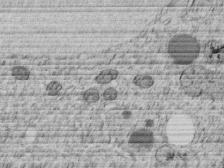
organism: C. elegans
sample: C. elegans embryo early stage